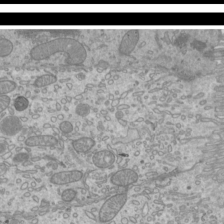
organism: Mouse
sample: Cilia; mouse epididymis